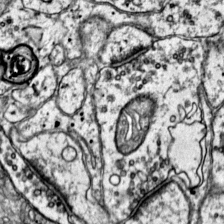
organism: Mouse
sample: Primary visual cortex